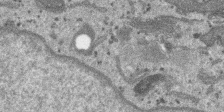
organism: Human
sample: Lung epithelial cells infected with SARS-CoV-2